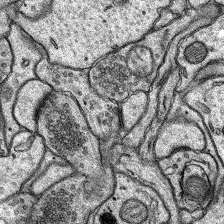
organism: Rat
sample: Hippocampus